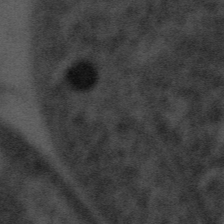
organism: Tuwongella immobilis